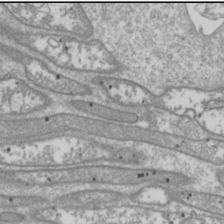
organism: Drosophila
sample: Cell division; meiosis; drosophila spermatocytes